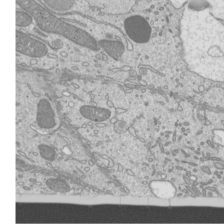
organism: Mouse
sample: Cilia; mouse epididymis